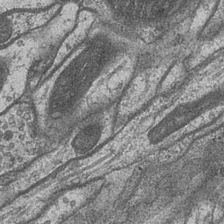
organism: Drosophila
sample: Optic medulla